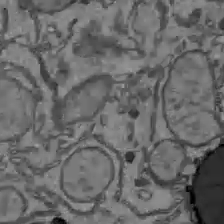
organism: C57BL Mouse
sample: Liver